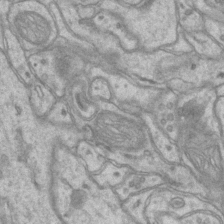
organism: Mouse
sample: CA1 Hippocampus